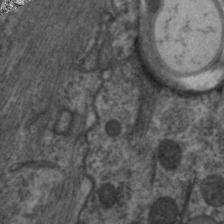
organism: C. elegans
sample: Pharynx